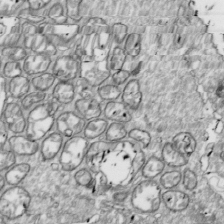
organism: Drosophila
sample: Cell division; meiosis; drosophila spermatocytes